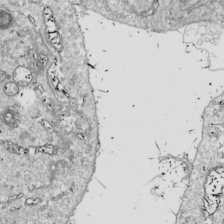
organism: Drosophila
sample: Cell division; meiosis; drosophila spermatocytes